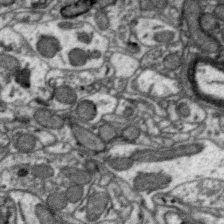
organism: Zebra finch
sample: Brain